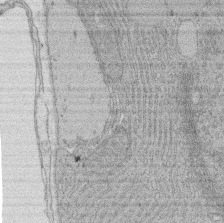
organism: Rat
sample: Salivary granule